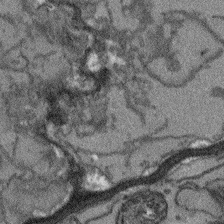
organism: Arabidopsis thaliana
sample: Root tip